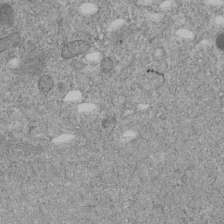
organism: C. elegans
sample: C. elegans embryo early stage